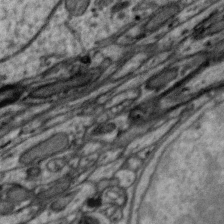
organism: Zebra finch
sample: Brain